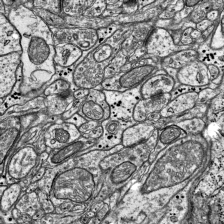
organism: Mouse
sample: Visual Cortex